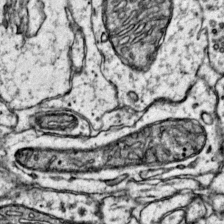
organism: Mouse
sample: Primary visual cortex